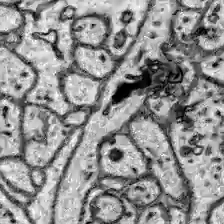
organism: Zebrafish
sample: Brain